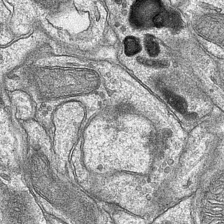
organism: Mouse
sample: CA1 Hippocampus